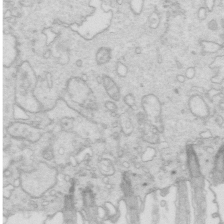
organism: Mouse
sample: Multiciliated cells